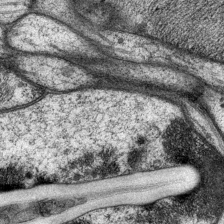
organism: P. pacificus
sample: Pharynx